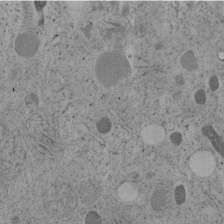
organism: C. elegans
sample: C. elegans embryo early stage